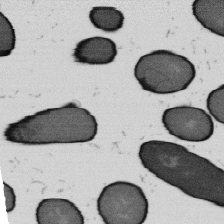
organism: B. subtilis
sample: Bacterial spore